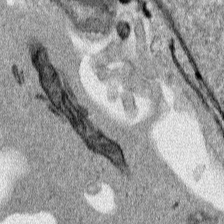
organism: Human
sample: Mitochondria in HCT116 cells